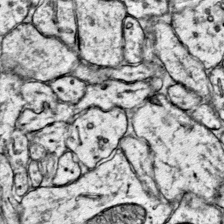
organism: Mouse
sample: Primary visual cortex